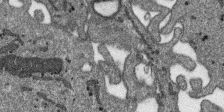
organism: Human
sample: Lung epithelial cells infected with SARS-CoV-2